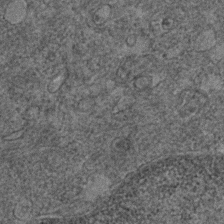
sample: Trachea